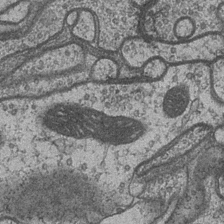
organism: Drosophila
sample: Optic medulla